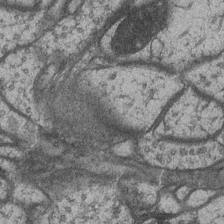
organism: Drosophila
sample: Optic medulla